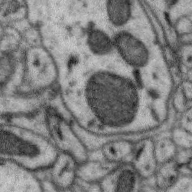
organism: Zebra finch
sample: Brain